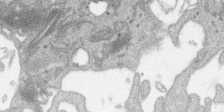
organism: Human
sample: Lung epithelial cells infected with SARS-CoV-2